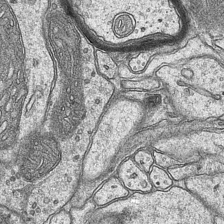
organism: Mouse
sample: CA1 Hippocampus